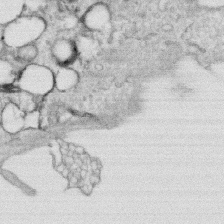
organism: Human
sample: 1205lu cells